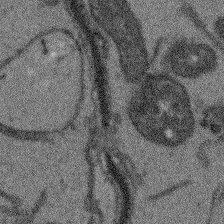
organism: Arabidopsis thaliana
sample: Root tip